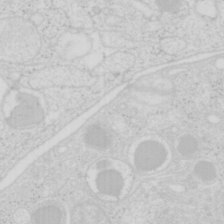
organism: Mouse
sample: Pancreas